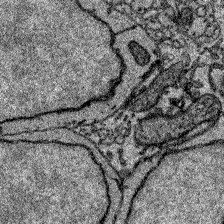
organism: Zebrafish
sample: Larval olfactory bulb